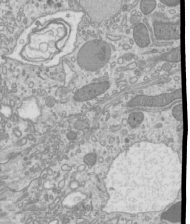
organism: Mouse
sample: Cilia; mouse epididymis